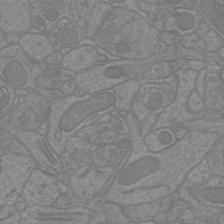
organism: Mouse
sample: Cortical neurons